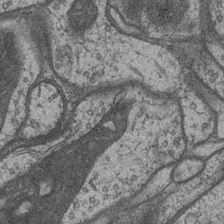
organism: Drosophila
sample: Optic medulla